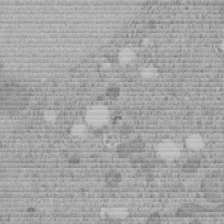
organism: C. elegans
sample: C. elegans embryo early stage